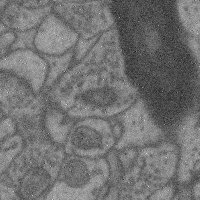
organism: Mouse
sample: Cerebral cortex